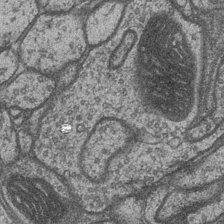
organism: Drosophila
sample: Optic medulla